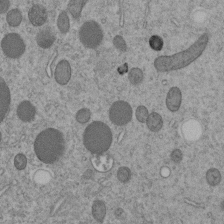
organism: C. elegans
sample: C. elegans embryo early stage